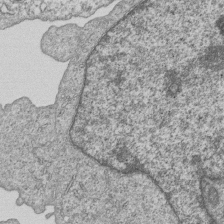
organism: Human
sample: MDA-MB-231 cells